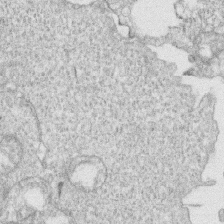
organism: Human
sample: HeLa cell HIV synapse